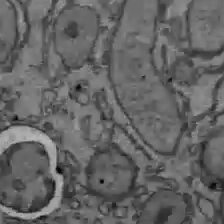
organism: C57BL Mouse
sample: Liver